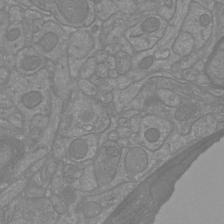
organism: Mouse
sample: Cortical neurons